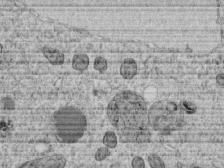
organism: C. elegans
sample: C. elegans embryo early stage